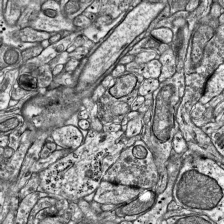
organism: Mouse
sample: Visual Cortex